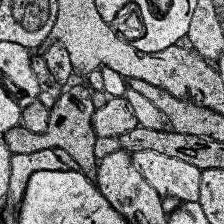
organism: Human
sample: Temporal Lobe